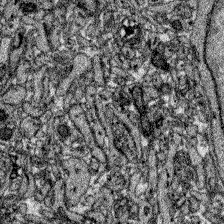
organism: Zebrafish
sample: Larval olfactory bulb